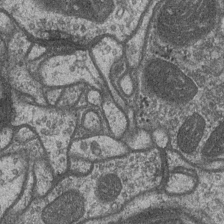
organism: Drosophila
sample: Optic medulla